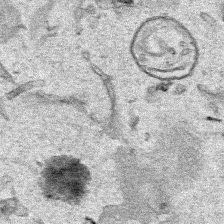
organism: Human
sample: Mitochondria in HCT116 cells